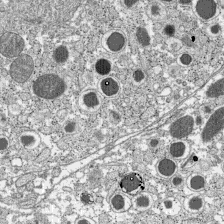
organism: C57BL Mouse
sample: Pancreatic islet